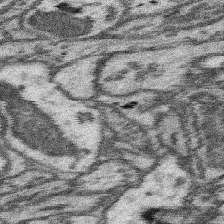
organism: Mouse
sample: Somatosensory cortex neuropil